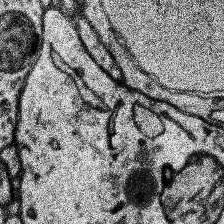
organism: Human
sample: Temporal Lobe